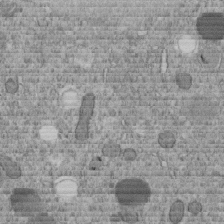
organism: C. elegans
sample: C. elegans embryo early stage